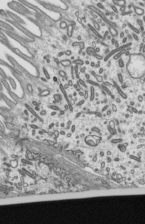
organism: Mouse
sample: Mouse epididymis efferent ductule cilia